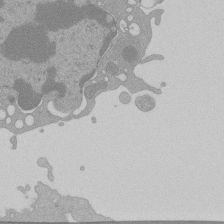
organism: Mouse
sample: Activated Pmel transgenic CD8+ T Cells